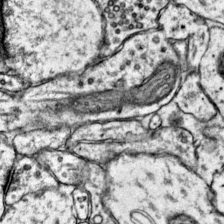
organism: Mouse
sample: Primary visual cortex